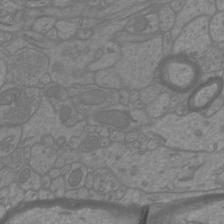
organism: Mouse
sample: Cortical neurons